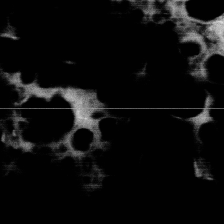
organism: Human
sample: HIV infected U937 cells